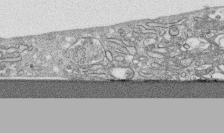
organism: Human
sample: CRL-1474